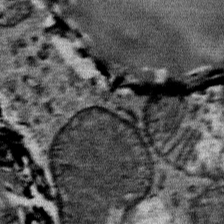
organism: Mouse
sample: Mouse Salivary gland